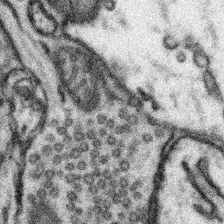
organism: Mouse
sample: Somatosensory cortex neuropil